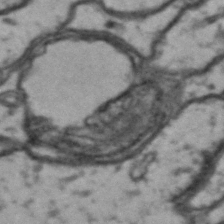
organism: Drosophila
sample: Brain